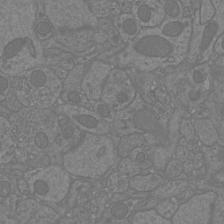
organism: Mouse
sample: Cortical neurons